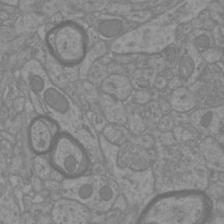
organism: Mouse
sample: Cortical neurons